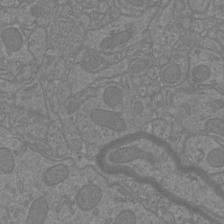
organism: Mouse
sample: Cortical neurons